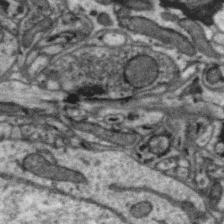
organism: Zebra finch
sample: Brain